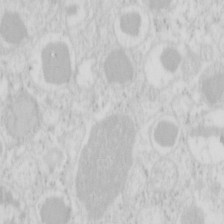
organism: Mouse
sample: Pancreas